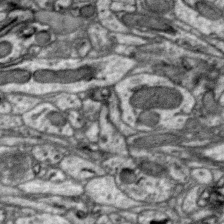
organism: Zebra finch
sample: Brain